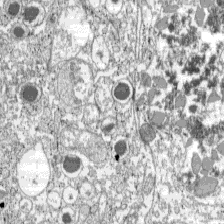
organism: C57BL Mouse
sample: Pancreatic islet